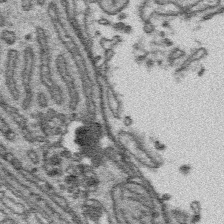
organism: Platynereis dumerilii